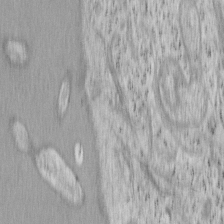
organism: Human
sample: HeLa cells